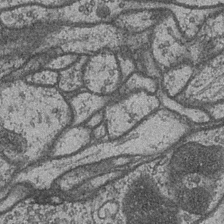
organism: Drosophila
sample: Optic medulla